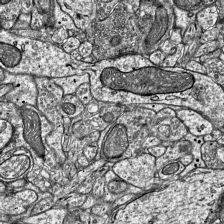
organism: Mouse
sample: Visual Cortex